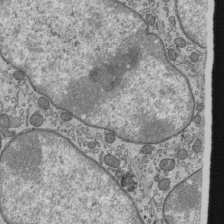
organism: Mouse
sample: Mouse epididymis efferent ductule cilia